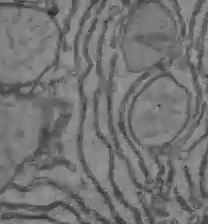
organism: C57BL Mouse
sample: Liver